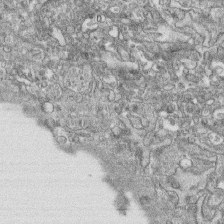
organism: Human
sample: CRL-1474